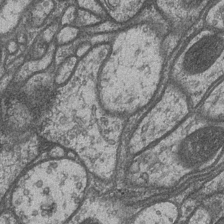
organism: Drosophila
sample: Optic medulla